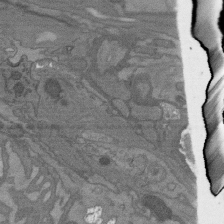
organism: C. elegans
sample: AFD neurons C. elegans